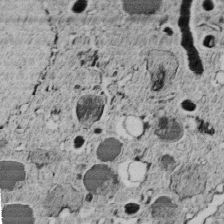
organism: C. elegans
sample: C. elegans embryo early stage